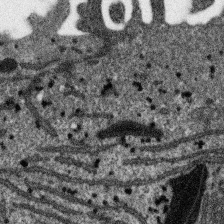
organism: Human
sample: Lung epithelial cells infected with SARS-CoV-2